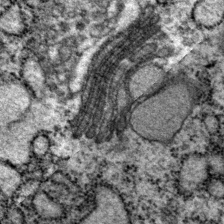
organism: P. pacificus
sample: Pharynx